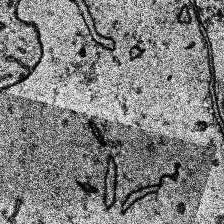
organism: Human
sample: Temporal Lobe